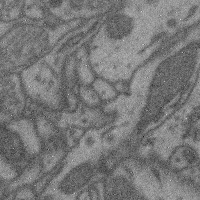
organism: Mouse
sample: Cerebral cortex